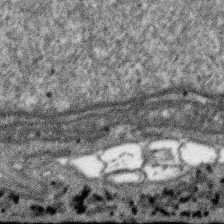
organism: Human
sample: Lung epithelial cells infected with SARS-CoV-2